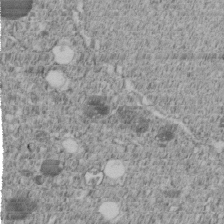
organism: C. elegans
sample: C. elegans embryo early stage